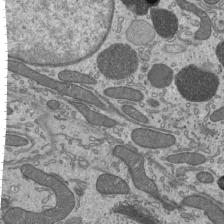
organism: Mouse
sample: Mouse epididymis efferent ductule cilia